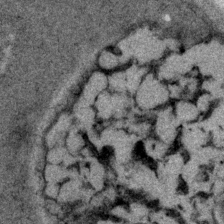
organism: P. pacificus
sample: Pharynx